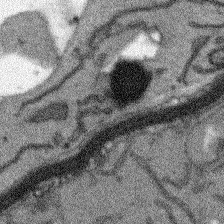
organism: Arabidopsis thaliana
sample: Root tip